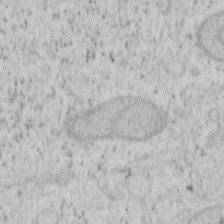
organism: Human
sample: HeLa cells